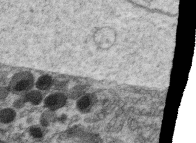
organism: C. elegans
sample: C. elegans oocyte; sperm cells